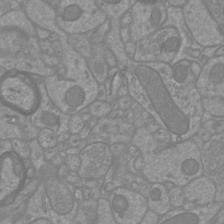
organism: Mouse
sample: Cortical neurons